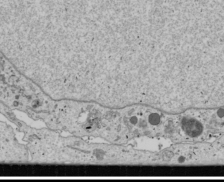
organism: Human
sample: Mitochondria in U2OS cells